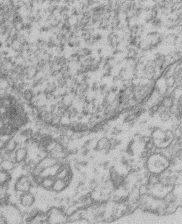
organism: Mouse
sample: T cell stromal cell synapse